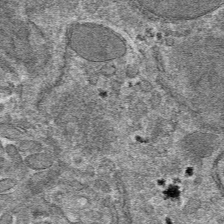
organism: Mouse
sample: Mouse hepatocytes